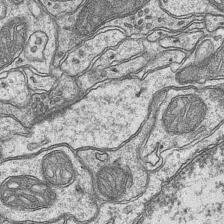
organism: Mouse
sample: CA1 Hippocampus